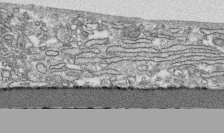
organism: Human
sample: CRL-1474